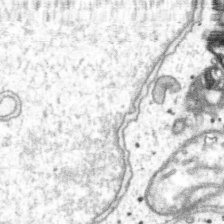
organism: Human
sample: HeLa cells